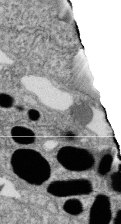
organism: Zebrafish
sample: Cilia; retinal pigment epithelium